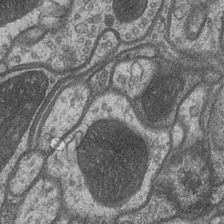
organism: Drosophila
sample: Optic medulla